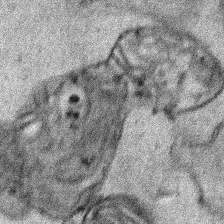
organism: Human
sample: Mitochondria in HCT116 cells